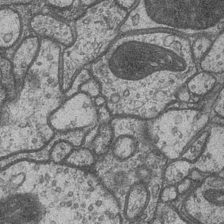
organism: Drosophila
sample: Optic medulla